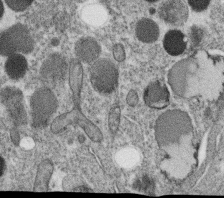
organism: C. elegans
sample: C. elegans oocyte; sperm cells